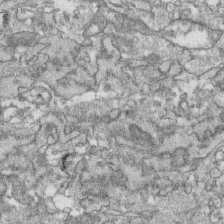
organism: Human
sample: CRL-1474